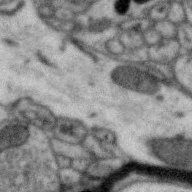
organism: Zebra finch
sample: Brain